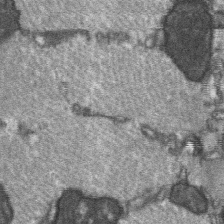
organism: C57BL Mouse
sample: Soleus